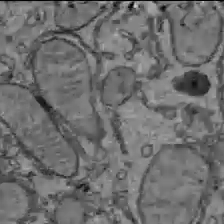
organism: C57BL Mouse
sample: Liver